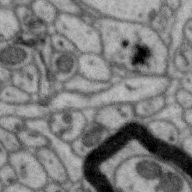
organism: Zebra finch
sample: Brain